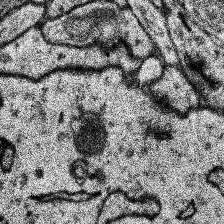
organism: Human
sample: Temporal Lobe